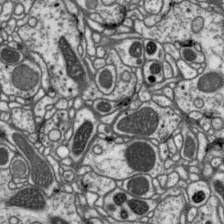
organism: Drosophila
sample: Protocerebral bridge